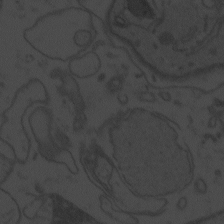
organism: Zebrafish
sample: Macrophage infected with Toxoplasma gondii